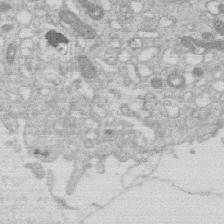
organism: Human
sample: Macrophage cells